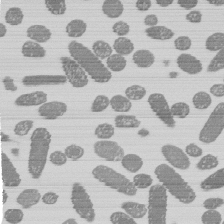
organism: E. coli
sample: Bacterial nucleoid